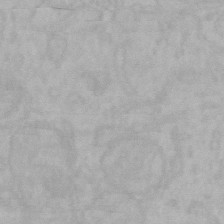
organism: Mouse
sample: Choroid plexus